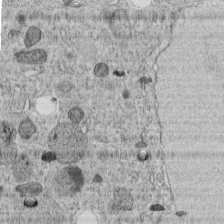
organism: C. elegans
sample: C. elegans embryo early stage